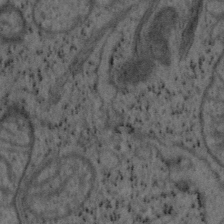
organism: Human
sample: HeLa cells